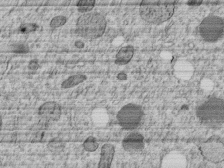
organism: C. elegans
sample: C. elegans embryo early stage